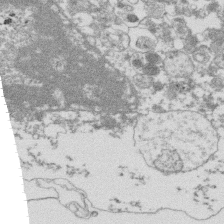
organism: Human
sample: HeLa cell HIV synapse